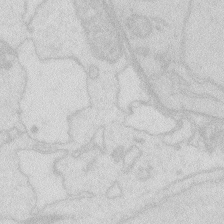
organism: Zebrafish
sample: Macrophage